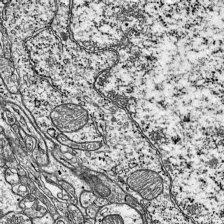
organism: Mouse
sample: Visual Cortex